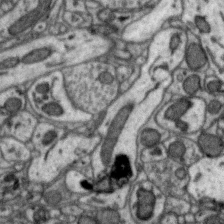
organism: Zebra finch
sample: Brain